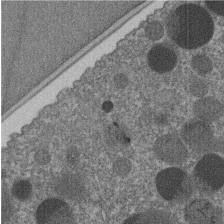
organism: C. elegans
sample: C. elegans embryo early stage